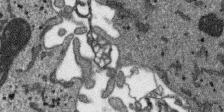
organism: Human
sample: Lung epithelial cells infected with SARS-CoV-2